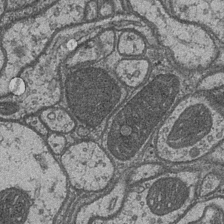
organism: Drosophila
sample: Optic medulla